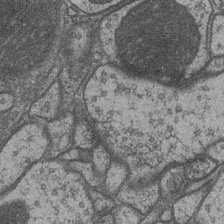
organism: Drosophila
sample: Optic medulla